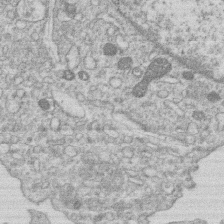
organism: Human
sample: Macrophage cells